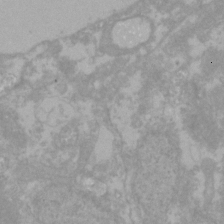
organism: Zebrafish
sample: Zebrafish embryo